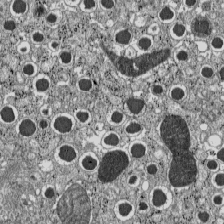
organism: C57BL Mouse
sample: Pancreatic islet